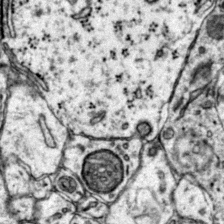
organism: Mouse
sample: Primary visual cortex